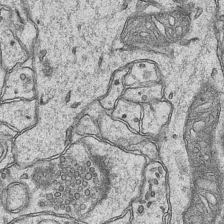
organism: Mouse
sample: CA1 Hippocampus